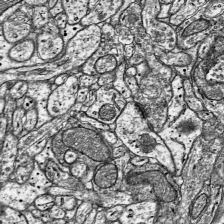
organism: Mouse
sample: Visual Cortex